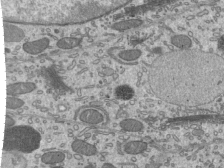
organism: Mouse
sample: Mouse epididymis efferent ductule cilia